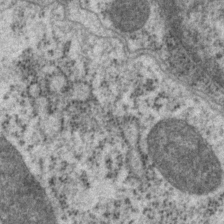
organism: P. pacificus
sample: Pharynx